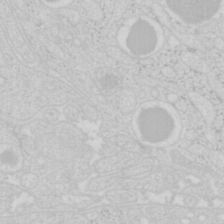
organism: Mouse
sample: Pancreas